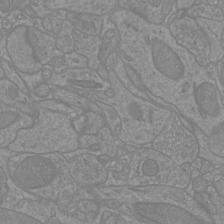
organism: Mouse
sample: Cortical neurons